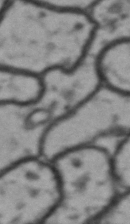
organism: Drosophila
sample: Brain